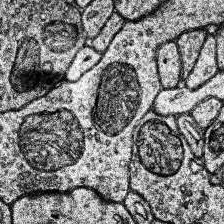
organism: Human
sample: Temporal Lobe